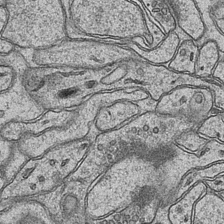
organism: Mouse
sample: CA1 Hippocampus